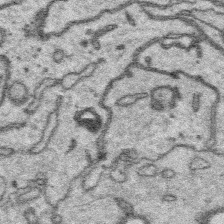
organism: Platynereis dumerilii